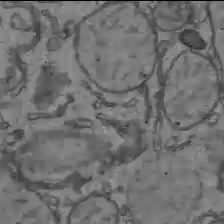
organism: C57BL Mouse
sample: Liver